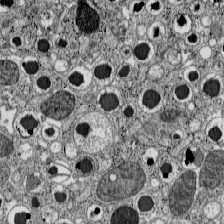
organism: C57BL Mouse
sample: Pancreatic islet